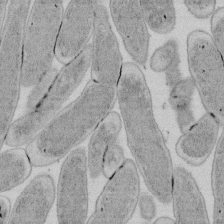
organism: E. coli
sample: Bacterial nucleoid